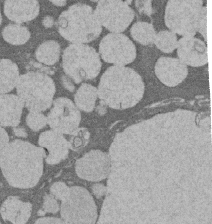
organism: Rat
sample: Salivary granule